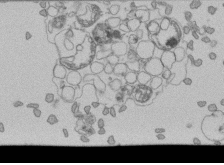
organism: Human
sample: Retinal organoid Rod and Cone cells